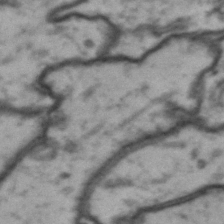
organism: Drosophila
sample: Brain